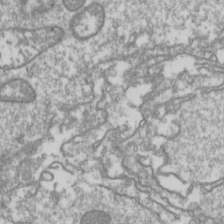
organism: Drosophila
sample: Cell division; meiosis; drosophila spermatocytes